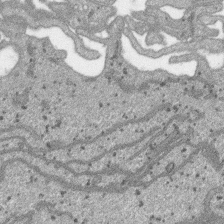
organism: Human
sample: Lung epithelial cells infected with SARS-CoV-2